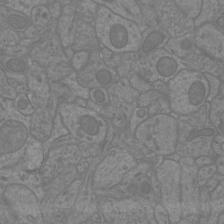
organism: Mouse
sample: Cortical neurons